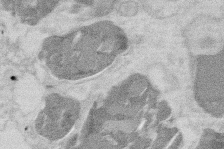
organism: Mouse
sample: T cell stromal cell synapse